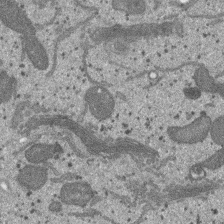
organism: Human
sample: Lung epithelial cells infected with SARS-CoV-2